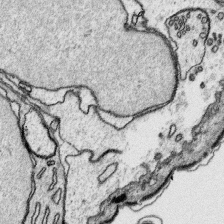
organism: Platynereis dumerilii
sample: Parapodia